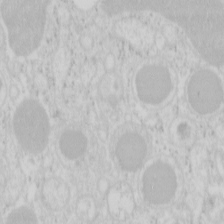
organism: Mouse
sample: Pancreas